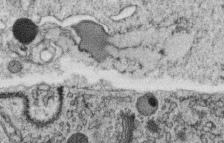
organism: C. elegans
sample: C. elegans oocyte; sperm cells